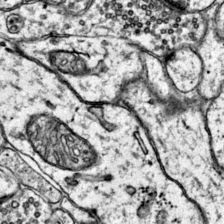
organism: Mouse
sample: Primary visual cortex